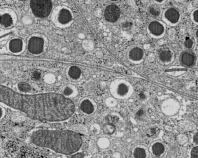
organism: C57BL Mouse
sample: Pancreatic islet